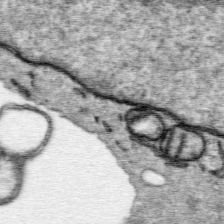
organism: Human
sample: HeLa cells